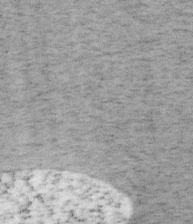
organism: Mouse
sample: OT-I killer T cells with ID8 ovarian cancer cells